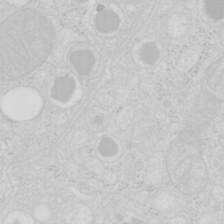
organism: Mouse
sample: Pancreas